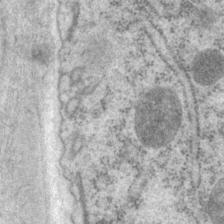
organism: P. pacificus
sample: Pharynx